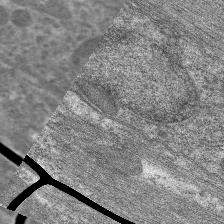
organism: C. elegans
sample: Pharynx